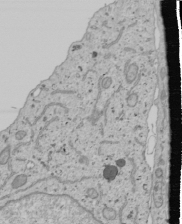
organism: Human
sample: Mitochondria in U2OS cells